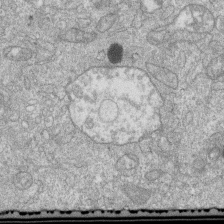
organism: Human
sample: HeLa cell HIV synapse